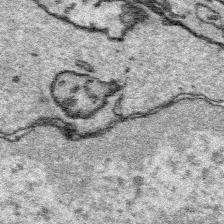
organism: Platynereis dumerilii